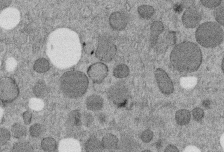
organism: C. elegans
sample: C. elegans embryo early stage